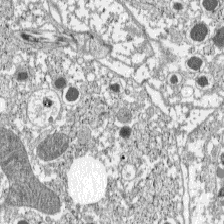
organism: C57BL Mouse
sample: Pancreatic islet